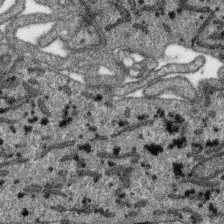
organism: Human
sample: Lung epithelial cells infected with SARS-CoV-2